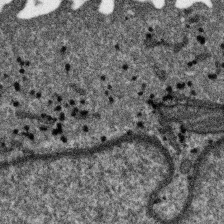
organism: Human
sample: Lung epithelial cells infected with SARS-CoV-2